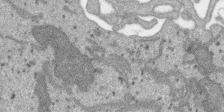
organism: Human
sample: Lung epithelial cells infected with SARS-CoV-2